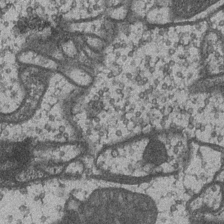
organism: Drosophila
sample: Optic medulla